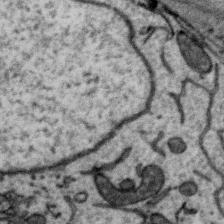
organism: Zebra finch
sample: Brain